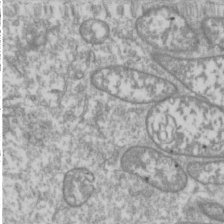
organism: Drosophila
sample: Cell division; meiosis; drosophila spermatocytes